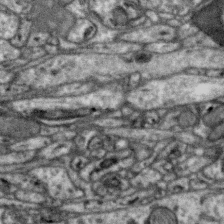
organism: Zebra finch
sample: Brain